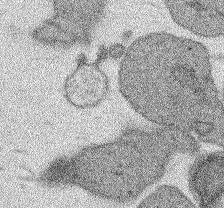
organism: Human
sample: HeLa cells